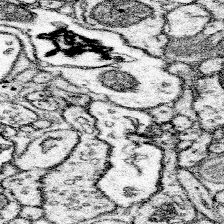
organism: Mouse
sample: Somatosensory cortex neuropil